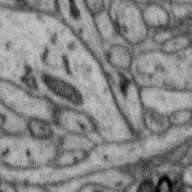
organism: Zebra finch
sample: Brain